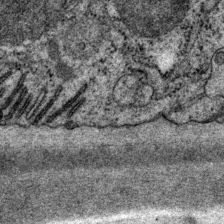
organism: P. pacificus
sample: Pharynx